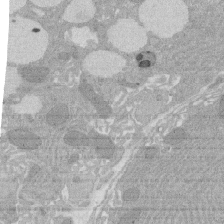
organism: Rat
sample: Salivary granule